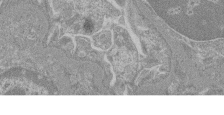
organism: Mouse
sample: Glomerulus